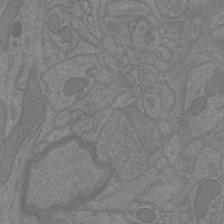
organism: Mouse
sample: Cortical neurons